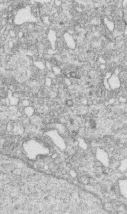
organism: Human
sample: HeLa cell HIV synapse